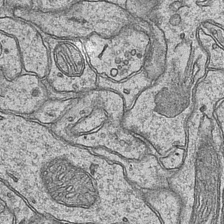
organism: Mouse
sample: CA1 Hippocampus